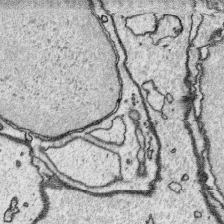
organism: Platynereis dumerilii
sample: Parapodia